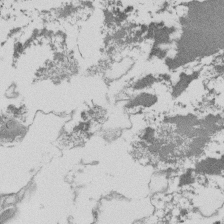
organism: Tetrahymena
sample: Cilia in tetrahymena